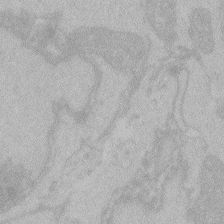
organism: Zebrafish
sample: Macrophage infected with Toxoplasma gondii